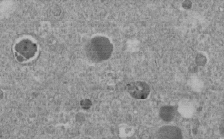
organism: C. elegans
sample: C. elegans embryo early stage